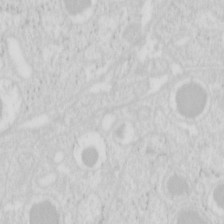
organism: Mouse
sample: Pancreas